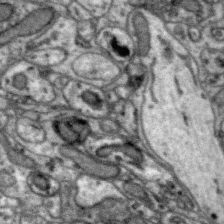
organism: Zebra finch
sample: Brain